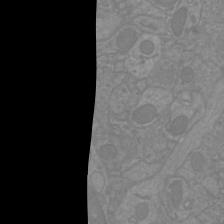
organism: Mouse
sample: Cortical neurons